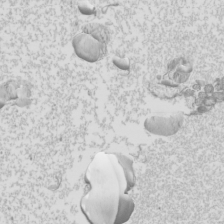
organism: Mouse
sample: Cilia; mouse epididymis